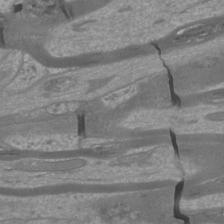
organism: Mouse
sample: Cortical neurons